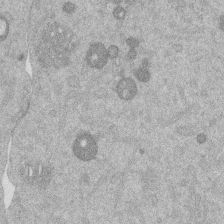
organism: Mouse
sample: Dividing mouse embryo 1 cell stage